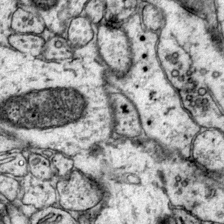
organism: Mouse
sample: Primary visual cortex